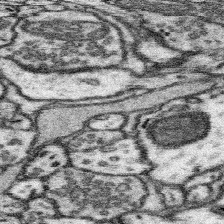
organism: Mouse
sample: Somatosensory cortex neuropil